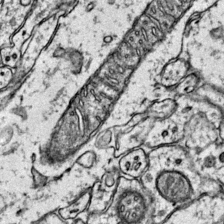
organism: Mouse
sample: Primary visual cortex